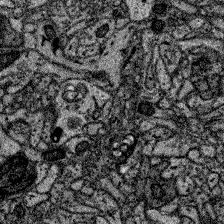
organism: Zebrafish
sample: Larval olfactory bulb